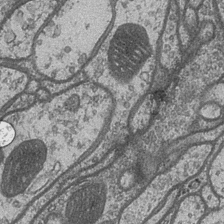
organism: Drosophila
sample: Optic medulla